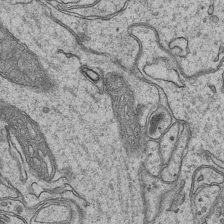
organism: Mouse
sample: CA1 Hippocampus